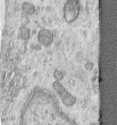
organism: Human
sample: Centriole in RPE cells